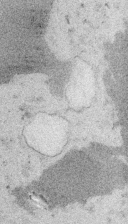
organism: Embia sp.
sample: Silk gland